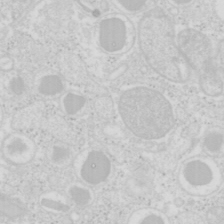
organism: Mouse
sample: Pancreas